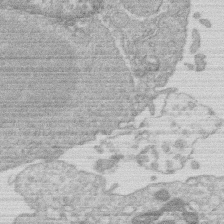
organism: Human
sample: Macrophage cells